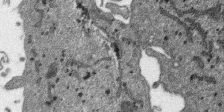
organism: Human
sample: Lung epithelial cells infected with SARS-CoV-2